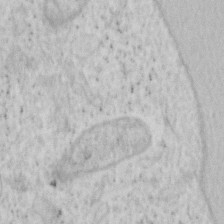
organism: Human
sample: HeLa cells